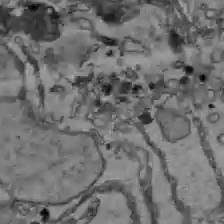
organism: C57BL Mouse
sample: Liver